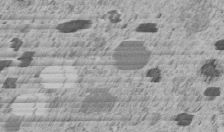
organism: C. elegans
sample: C. elegans embryo early stage